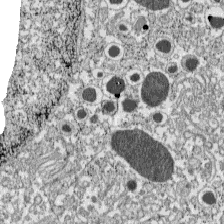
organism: C57BL Mouse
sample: Pancreatic islet